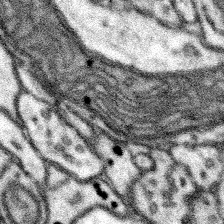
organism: Mouse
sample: Somatosensory cortex neuropil